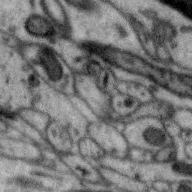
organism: Zebra finch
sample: Brain